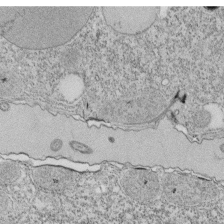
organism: Tetrahymena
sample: Cilia in tetrahymena